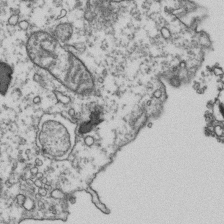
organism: Human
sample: Activated Jurkat CD4+ T cells